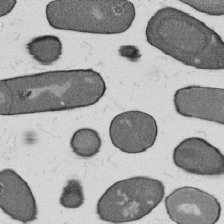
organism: B. subtilis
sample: Bacterial spore